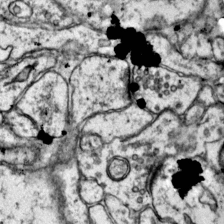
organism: Mouse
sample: Primary visual cortex